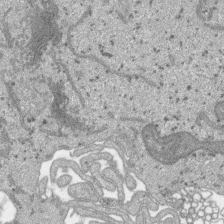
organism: Human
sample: Lung epithelial cells infected with SARS-CoV-2